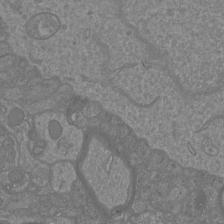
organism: Mouse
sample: Cortical neurons